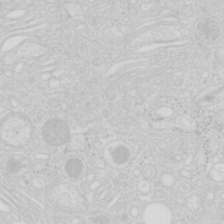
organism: Mouse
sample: Pancreas